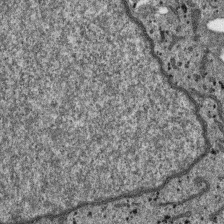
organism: Human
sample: Lung epithelial cells infected with SARS-CoV-2